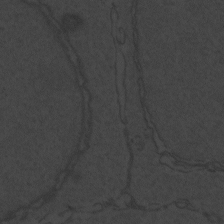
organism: Zebrafish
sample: Macrophage infected with Toxoplasma gondii